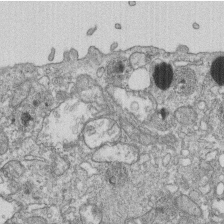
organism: Human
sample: HeLa cell HIV synapse